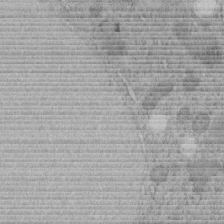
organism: C. elegans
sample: C. elegans embryo early stage